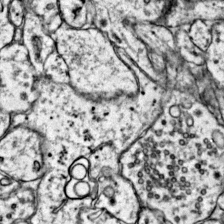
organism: Mouse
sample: Primary visual cortex